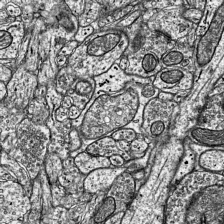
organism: Mouse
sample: Visual Cortex